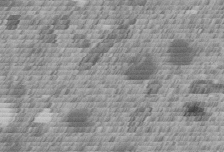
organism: C. elegans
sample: C. elegans embryo early stage